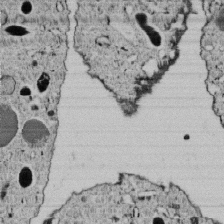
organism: C. elegans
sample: C. elegans embryo early stage